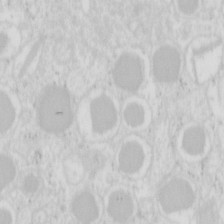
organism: Mouse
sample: Pancreas